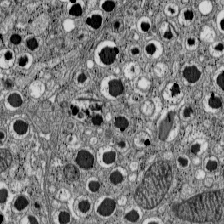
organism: C57BL Mouse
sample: Pancreatic islet